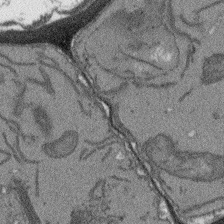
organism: Arabidopsis thaliana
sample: Root tip